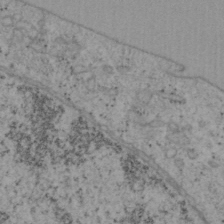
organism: Human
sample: HeLa cells